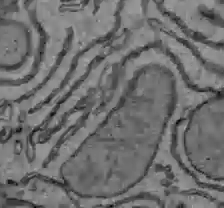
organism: C57BL Mouse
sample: Liver